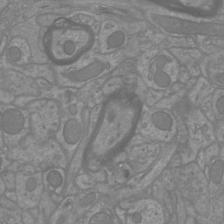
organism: Mouse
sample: Cortical neurons